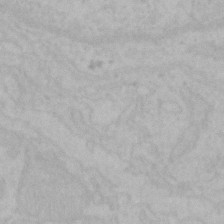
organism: Mouse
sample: Choroid plexus